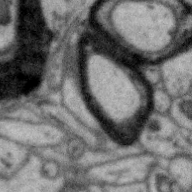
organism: Zebra finch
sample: Brain